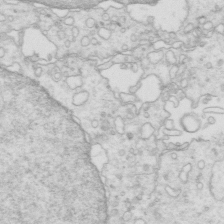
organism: Mouse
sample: Multiciliated cells